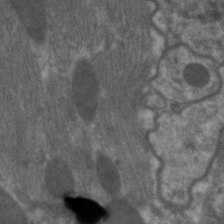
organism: C. elegans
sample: Pharynx